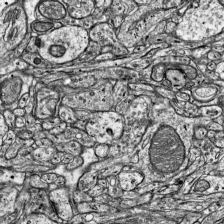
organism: Mouse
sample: Visual Cortex